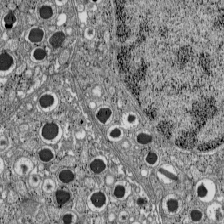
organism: C57BL Mouse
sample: Pancreatic islet